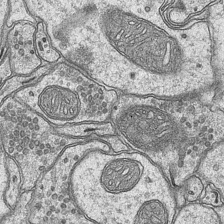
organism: Mouse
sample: CA1 Hippocampus